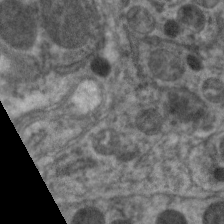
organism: C. elegans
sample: Pharynx